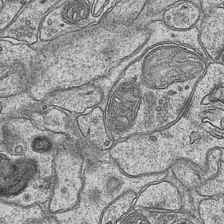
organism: Mouse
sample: CA1 Hippocampus